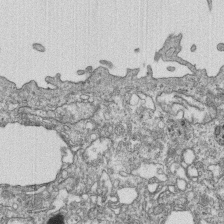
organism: Human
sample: HeLa cell HIV synapse